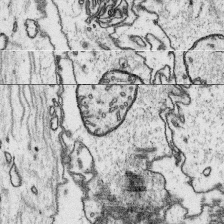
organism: Platynereis dumerilii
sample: Parapodia